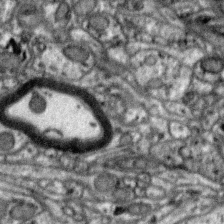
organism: Zebra finch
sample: Brain